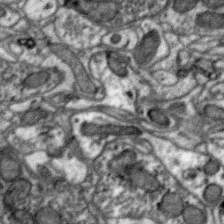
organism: Zebra finch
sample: Brain